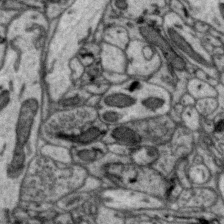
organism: Zebra finch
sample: Brain